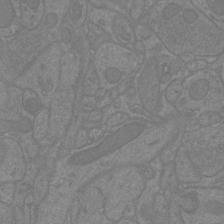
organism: Mouse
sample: Cortical neurons